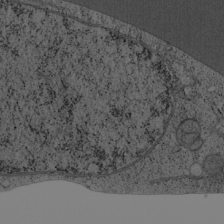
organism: African green monkey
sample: COS-7 cells